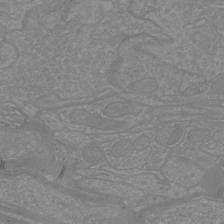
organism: Mouse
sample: Cortical neurons